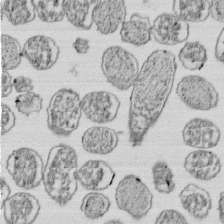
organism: E. coli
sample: Bacterial nucleoid